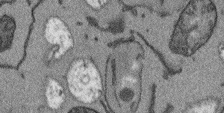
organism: Arabidopsis thaliana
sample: Root tip